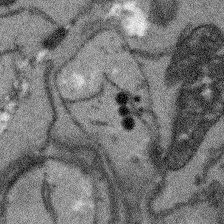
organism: Arabidopsis thaliana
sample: Root tip